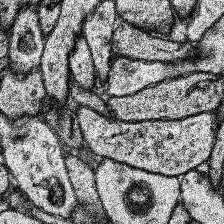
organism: Human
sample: Temporal Lobe